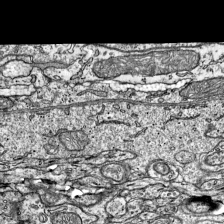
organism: Mouse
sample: Visual Cortex